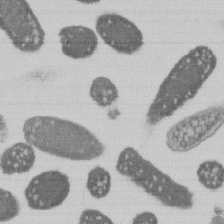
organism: E. coli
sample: Bacterial nucleoid